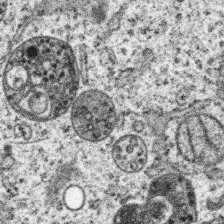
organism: Human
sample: HeLa cells